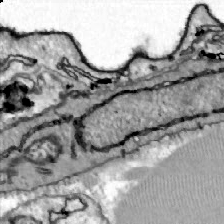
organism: Zebrafish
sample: Actinotrichia fibers